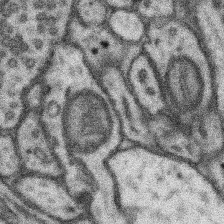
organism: Mouse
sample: Somatosensory cortex neuropil